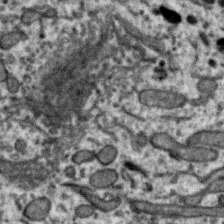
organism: Zebra finch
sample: Brain